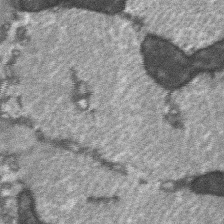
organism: C57BL Mouse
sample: Soleus